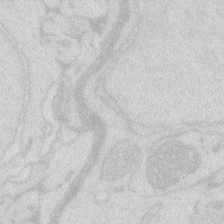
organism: Zebrafish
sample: Macrophage